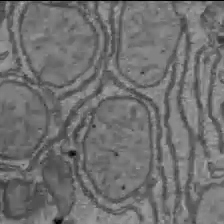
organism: C57BL Mouse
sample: Liver